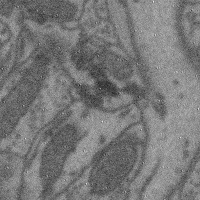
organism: Mouse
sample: Cerebral cortex